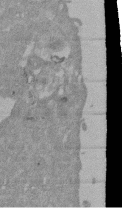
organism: Mouse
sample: ED-1 cell nuclei; centrioles